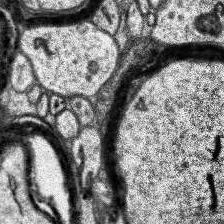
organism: Human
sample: Temporal Lobe